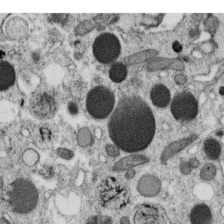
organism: C. elegans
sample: C. elegans oocyte; sperm cells